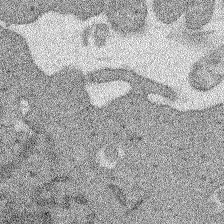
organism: Human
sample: HeLa cells